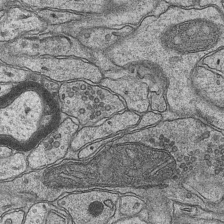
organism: Mouse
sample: CA1 Hippocampus